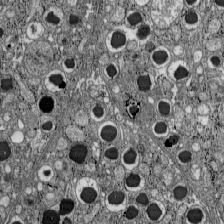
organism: C57BL Mouse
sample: Pancreatic islet